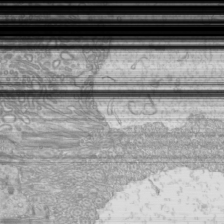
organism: Mouse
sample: Cilia; mouse epididymis